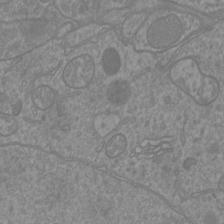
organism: Mouse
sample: Cortical neurons